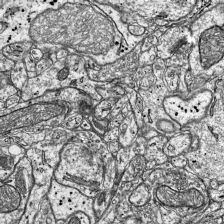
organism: Mouse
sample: Visual Cortex